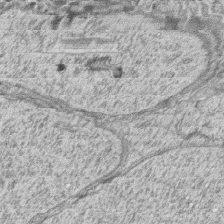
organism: Zebrafish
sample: synaptic ribbons in rod cells and cone cells